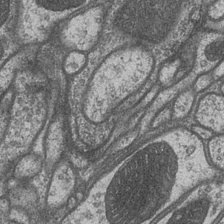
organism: Drosophila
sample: Optic medulla